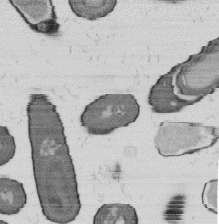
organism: B. subtilis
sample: Bacterial spore